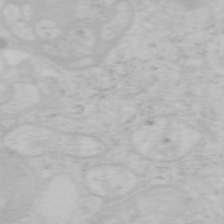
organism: Mouse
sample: OT-I killer T cells with ID8 ovarian cancer cells